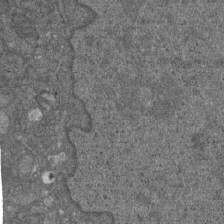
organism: Drosophila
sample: Nephrocyte